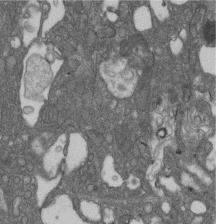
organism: Drosophila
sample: Nephrocyte